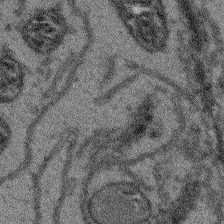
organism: Arabidopsis thaliana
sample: Root tip